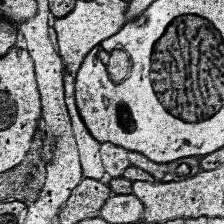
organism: Human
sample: Temporal Lobe